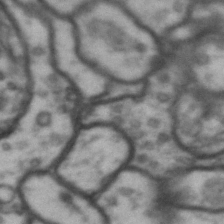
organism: Drosophila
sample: Brain